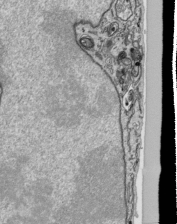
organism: Human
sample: Mitochondria in HCT116 cells